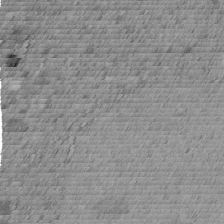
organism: C. elegans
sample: C. elegans embryo early stage